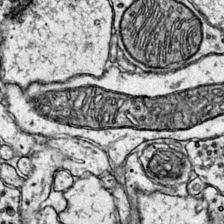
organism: Mouse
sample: Primary visual cortex